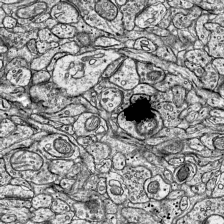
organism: Mouse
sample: Visual Cortex